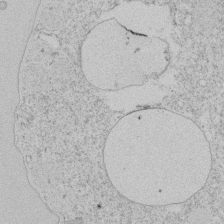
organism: Tetrahymena